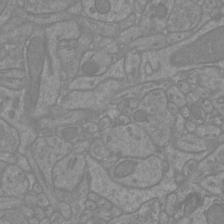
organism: Mouse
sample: Cortical neurons